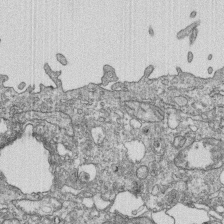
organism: Human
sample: HeLa cell HIV synapse